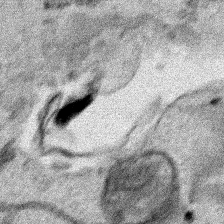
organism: Human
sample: Mitochondria in HCT116 cells